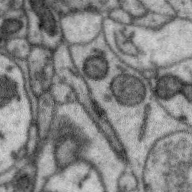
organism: Zebra finch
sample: Brain